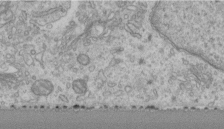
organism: Human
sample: Centriole in RPE cells